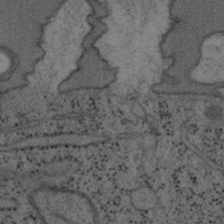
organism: Human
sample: HeLa cells